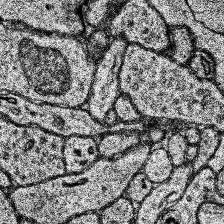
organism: Human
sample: Temporal Lobe